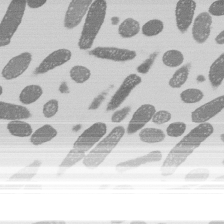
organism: E. coli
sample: Bacterial nucleoid